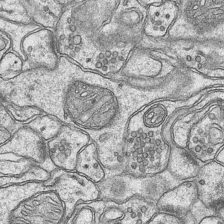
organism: Mouse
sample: CA1 Hippocampus